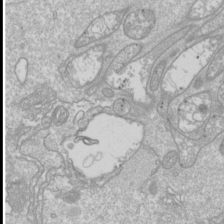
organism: Drosophila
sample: Cell division; meiosis; drosophila spermatocytes